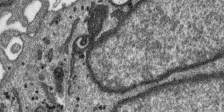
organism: Human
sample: Lung epithelial cells infected with SARS-CoV-2